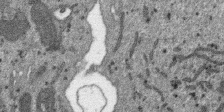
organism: Human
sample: Lung epithelial cells infected with SARS-CoV-2